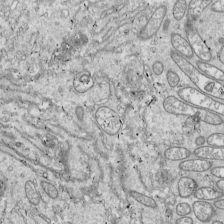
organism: Drosophila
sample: Cell division; meiosis; drosophila spermatocytes